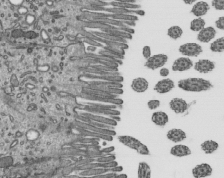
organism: Mouse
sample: Mouse epididymis efferent ductule cilia